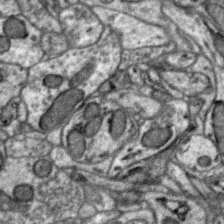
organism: Zebra finch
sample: Brain